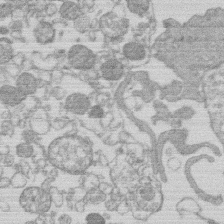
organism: Human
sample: Macrophage cells